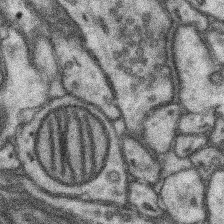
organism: Mouse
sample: Somatosensory cortex neuropil